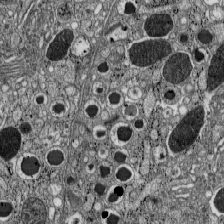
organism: C57BL Mouse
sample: Pancreatic islet